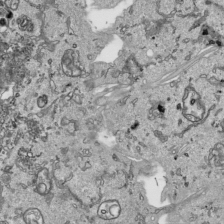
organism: Human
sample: Mitochondria in HCT116 cells